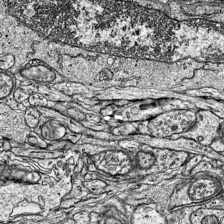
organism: Mouse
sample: Visual Cortex